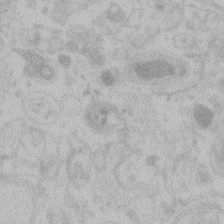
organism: Zebrafish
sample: Macrophage infected with Toxoplasma gondii